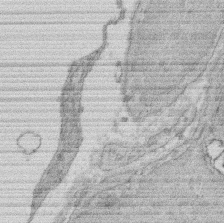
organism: Rat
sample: Salivary granule